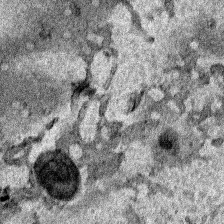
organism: Human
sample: Mitochondria in HCT116 cells